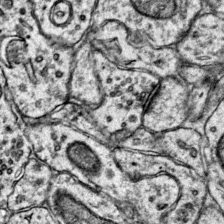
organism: Mouse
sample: Primary visual cortex